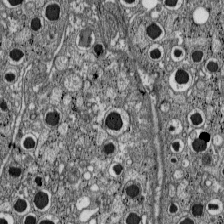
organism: C57BL Mouse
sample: Pancreatic islet